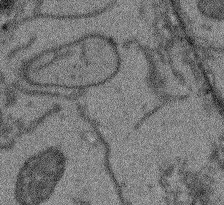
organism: Arabidopsis thaliana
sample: Root tip